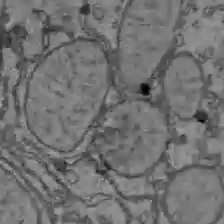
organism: C57BL Mouse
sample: Liver